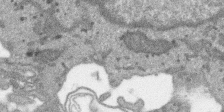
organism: Human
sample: Lung epithelial cells infected with SARS-CoV-2